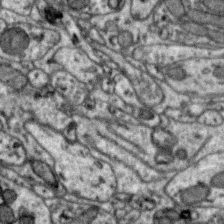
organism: Zebra finch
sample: Brain